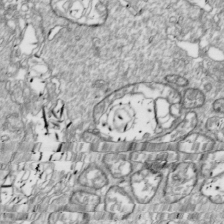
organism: Drosophila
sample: Cell division; meiosis; drosophila spermatocytes